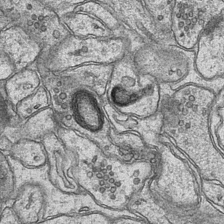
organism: Mouse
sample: CA1 Hippocampus